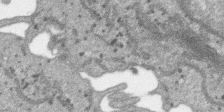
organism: Human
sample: Lung epithelial cells infected with SARS-CoV-2